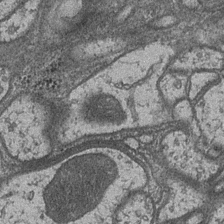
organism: Drosophila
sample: Optic medulla